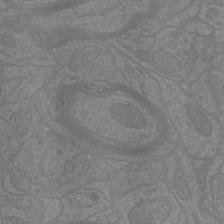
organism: Mouse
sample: Cortical neurons